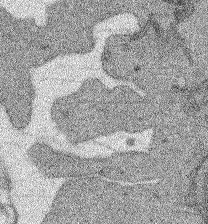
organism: Human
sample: HeLa cells